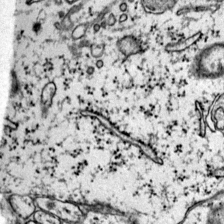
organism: Mouse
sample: Primary visual cortex